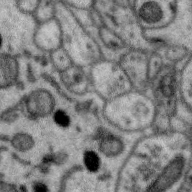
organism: Zebra finch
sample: Brain